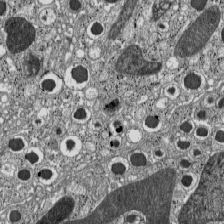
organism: C57BL Mouse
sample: Pancreatic islet